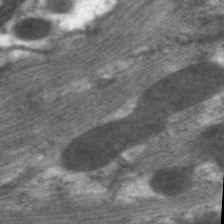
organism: C. elegans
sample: Pharynx